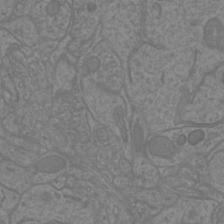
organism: Mouse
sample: Cortical neurons